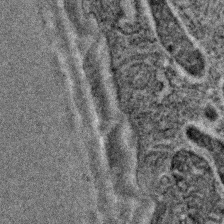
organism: C. elegans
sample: C. elegans embryo